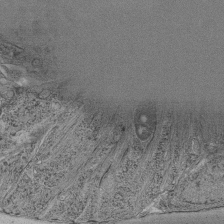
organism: C. elegans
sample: C. elegans pharynx